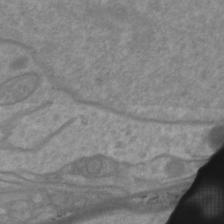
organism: Mouse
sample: Cortical neurons